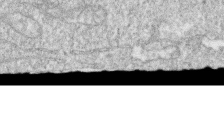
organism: Human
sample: HeLa cell HIV synapse